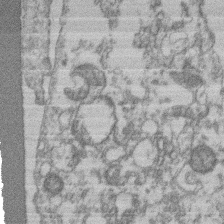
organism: Mouse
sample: T cell stromal cell synapse